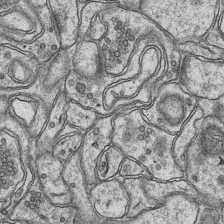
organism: Mouse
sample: CA1 Hippocampus